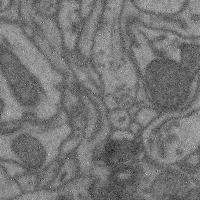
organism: Mouse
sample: Cerebral cortex